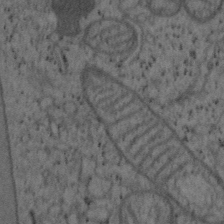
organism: Human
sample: HeLa cells